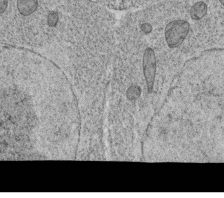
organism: C. elegans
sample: C. elegans oocyte; sperm cells